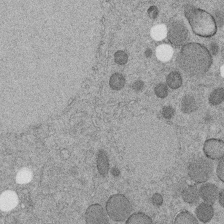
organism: C. elegans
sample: C. elegans embryo early stage